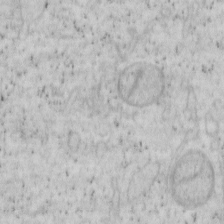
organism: Human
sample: HeLa cells